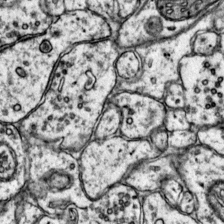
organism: Mouse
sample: Primary visual cortex